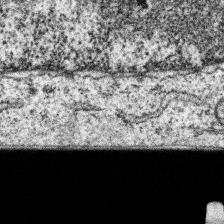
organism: Human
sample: HeLa cells